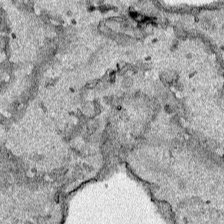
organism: Human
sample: Mitochondria in HCT116 cells